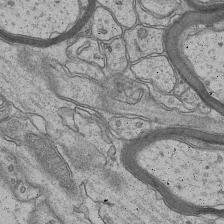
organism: Mouse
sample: CA1 Hippocampus